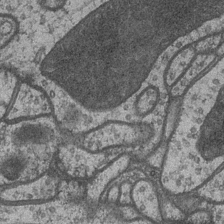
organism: Drosophila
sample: Optic medulla